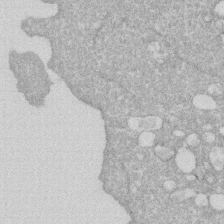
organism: Human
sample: HIV infected U937 cells